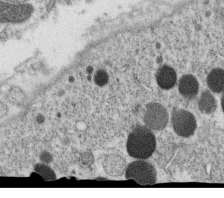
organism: C. elegans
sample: C. elegans oocyte; sperm cells